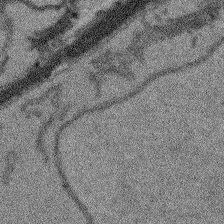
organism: Arabidopsis thaliana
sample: Root tip